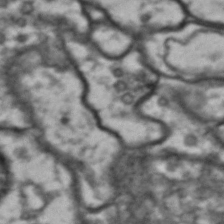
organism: Drosophila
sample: Brain